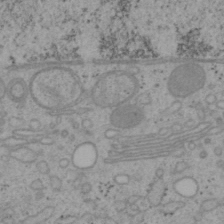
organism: Human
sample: HeLa cells